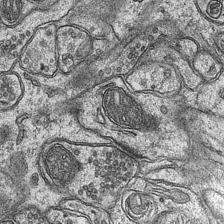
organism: Mouse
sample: CA1 Hippocampus